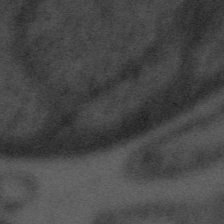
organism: Tuwongella immobilis